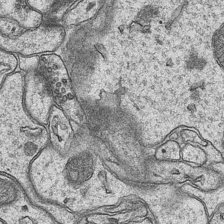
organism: Mouse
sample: CA1 Hippocampus